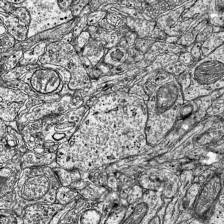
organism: Mouse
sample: Visual Cortex